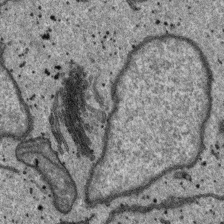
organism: Human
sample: Lung epithelial cells, uninfected (mock) control